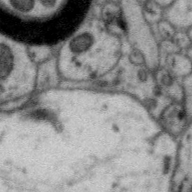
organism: Zebra finch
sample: Brain